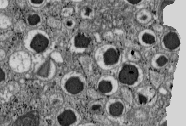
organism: C57BL Mouse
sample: Pancreatic islet